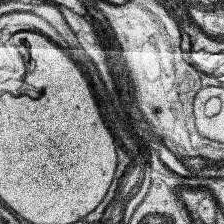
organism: Human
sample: Temporal Lobe